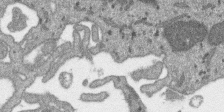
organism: Human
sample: Lung epithelial cells infected with SARS-CoV-2